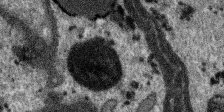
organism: Human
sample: Lung epithelial cells infected with SARS-CoV-2